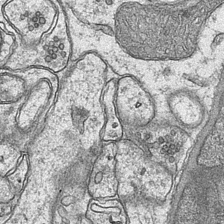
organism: Mouse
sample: CA1 Hippocampus